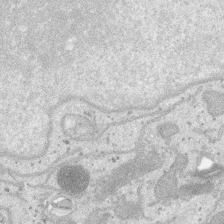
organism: Human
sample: Lung epithelial cells infected with SARS-CoV-2